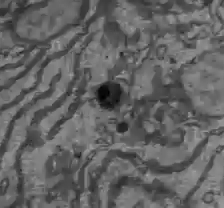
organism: C57BL Mouse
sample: Liver